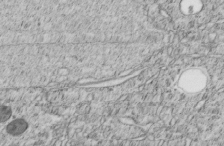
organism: C. elegans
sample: C. elegans embryo early stage